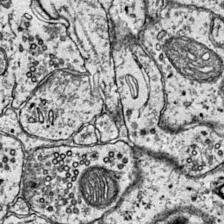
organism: Mouse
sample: Primary visual cortex